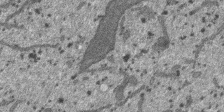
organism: Human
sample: Lung epithelial cells infected with SARS-CoV-2